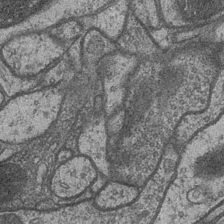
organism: Drosophila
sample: Optic medulla